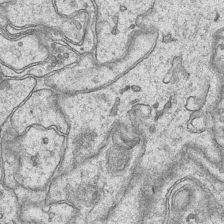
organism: Mouse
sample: CA1 Hippocampus